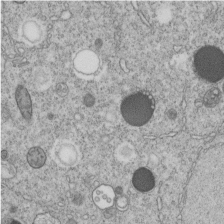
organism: C. elegans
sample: C. elegans embryo early stage